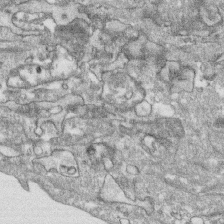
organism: Human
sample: CRL-1474